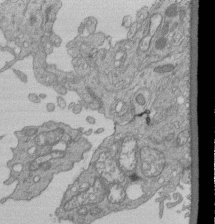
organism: Human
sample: Retinal organoid Rod and Cone cells